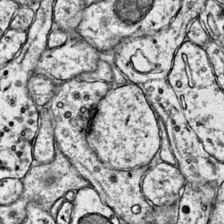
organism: Mouse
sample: Primary visual cortex